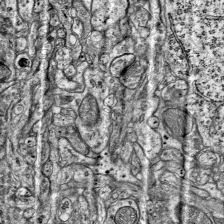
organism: Mouse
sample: Visual Cortex